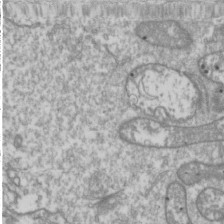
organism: Drosophila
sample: Cell division; meiosis; drosophila spermatocytes